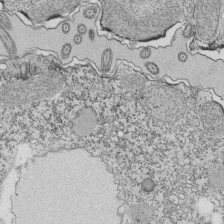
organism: Tetrahymena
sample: Cilia in tetrahymena